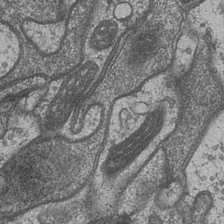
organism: Drosophila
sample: Optic medulla